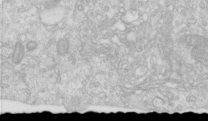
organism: Human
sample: Centriole in RPE cells